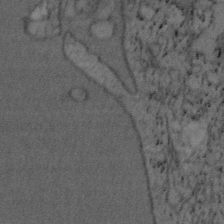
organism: Human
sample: HeLa cells